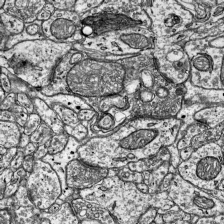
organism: Mouse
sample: Visual Cortex